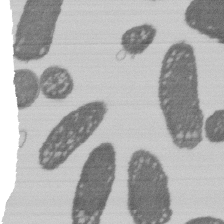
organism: E. coli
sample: Bacterial nucleoid